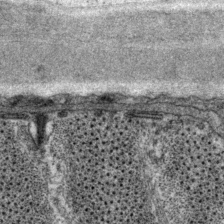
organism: P. pacificus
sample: Pharynx